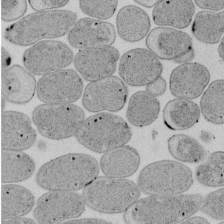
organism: E. coli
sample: Bacterial nucleoid